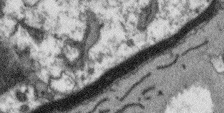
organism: Arabidopsis thaliana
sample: Root tip